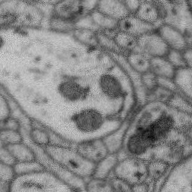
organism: Zebra finch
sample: Brain